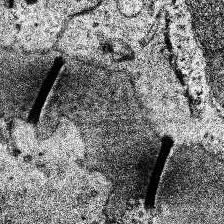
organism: Human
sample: Temporal Lobe